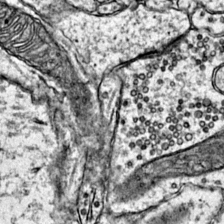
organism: Mouse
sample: Primary visual cortex